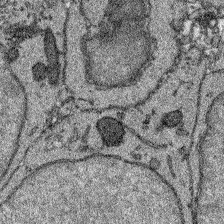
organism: Zebrafish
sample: Larval olfactory bulb